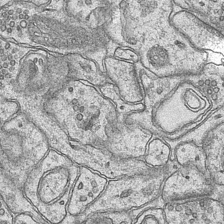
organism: Mouse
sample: CA1 Hippocampus